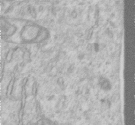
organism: Human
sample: Centriole in RPE cells